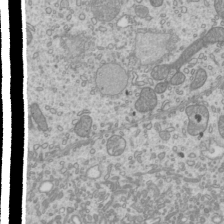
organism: Mouse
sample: Cilia; mouse epididymis